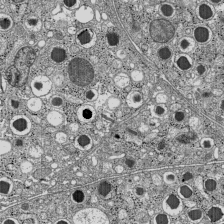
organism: C57BL Mouse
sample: Pancreatic islet